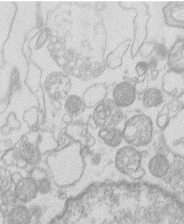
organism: Human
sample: Macrophage cells